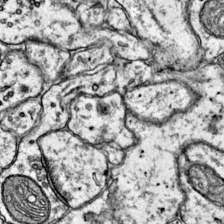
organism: Mouse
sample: Primary visual cortex